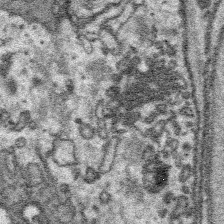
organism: Platynereis dumerilii